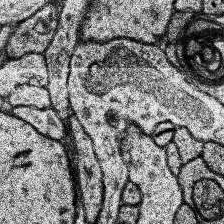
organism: Human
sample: Temporal Lobe